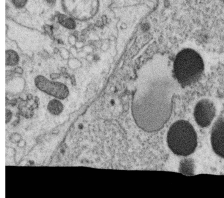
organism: C. elegans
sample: C. elegans oocyte; sperm cells